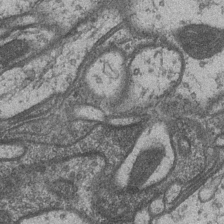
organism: Drosophila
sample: Optic medulla